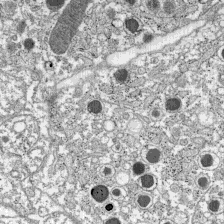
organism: C57BL Mouse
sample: Pancreatic islet